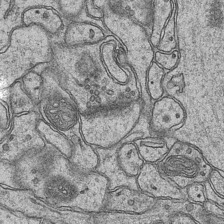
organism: Mouse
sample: CA1 Hippocampus